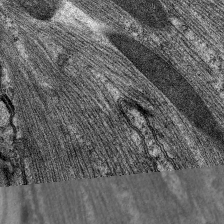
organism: C. elegans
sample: Pharynx